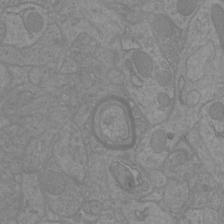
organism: Mouse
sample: Cortical neurons